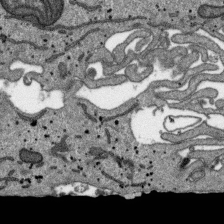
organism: Human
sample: Lung epithelial cells, uninfected (mock) control